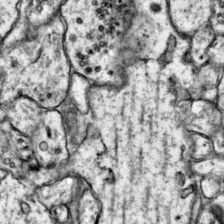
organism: Mouse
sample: Primary visual cortex